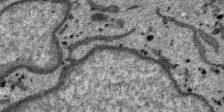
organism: Human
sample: Lung epithelial cells, uninfected (mock) control